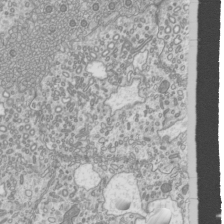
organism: Mouse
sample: Cilia; mouse epididymis